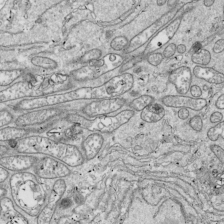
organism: Drosophila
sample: Cell division; meiosis; drosophila spermatocytes